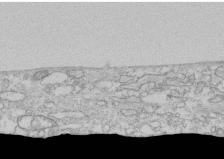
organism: Human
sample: CRL-1474